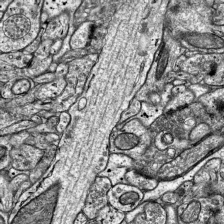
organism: Mouse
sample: Visual Cortex